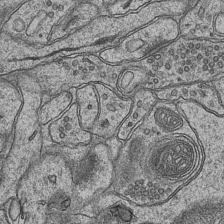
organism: Mouse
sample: CA1 Hippocampus